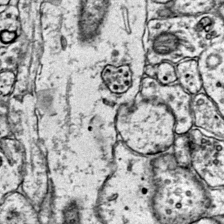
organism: Mouse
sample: Primary visual cortex